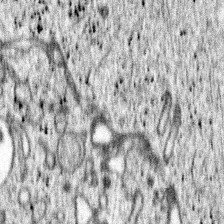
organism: Human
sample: HeLa cells